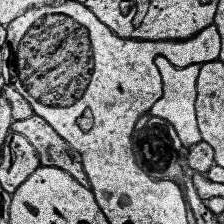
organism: Human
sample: Temporal Lobe